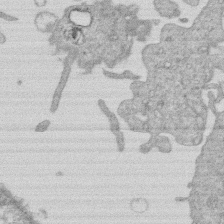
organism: Human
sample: Macrophage cells